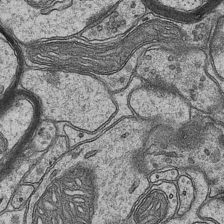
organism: Mouse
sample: CA1 Hippocampus